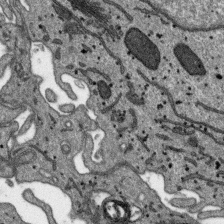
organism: Human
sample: Lung epithelial cells, uninfected (mock) control